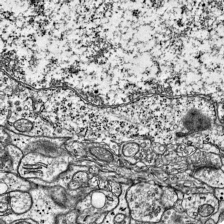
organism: Mouse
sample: Visual Cortex